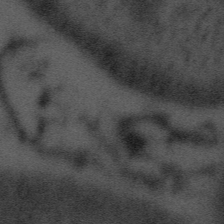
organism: Tuwongella immobilis